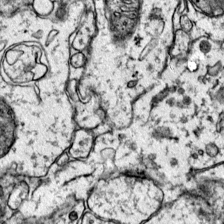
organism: Mouse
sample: Primary visual cortex